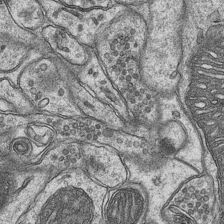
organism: Mouse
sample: CA1 Hippocampus